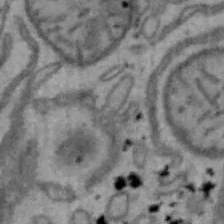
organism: Mouse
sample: Liver